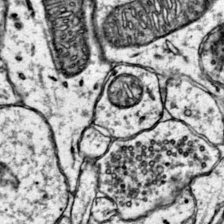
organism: Mouse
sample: Primary visual cortex